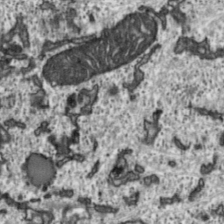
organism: Toxoplasma gondii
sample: Parasites in a vacuole inside a host cell